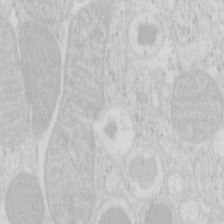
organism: Mouse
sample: Pancreas